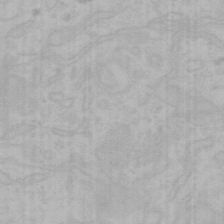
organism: Mouse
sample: Choroid plexus